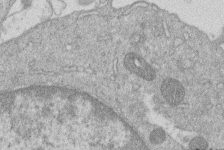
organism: Human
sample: Macrophage cells